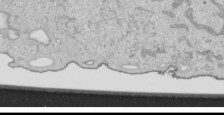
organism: Human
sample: Mitochondria in HCT116 cells